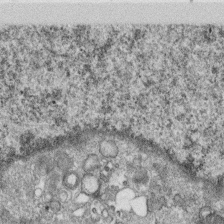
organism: African green monkey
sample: Vero E6 cells infected with SARS-CoV-2